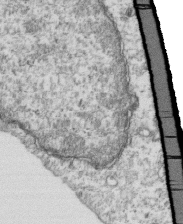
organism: Mouse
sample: Activated OT-1 CD8+ T cells